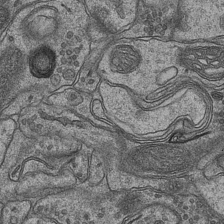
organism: Mouse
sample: CA1 Hippocampus